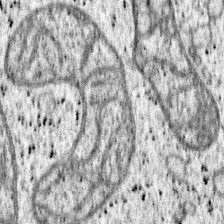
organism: Human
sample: HeLa cells